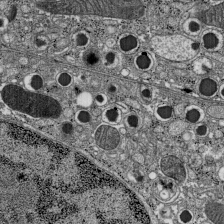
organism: C57BL Mouse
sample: Pancreatic islet